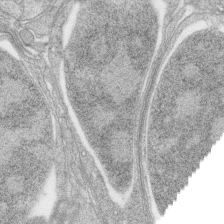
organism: Zebrafish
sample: synaptic ribbons in rod cells and cone cells